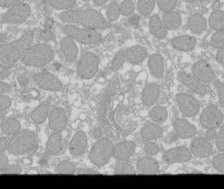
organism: Xenopus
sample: Cilia; centrioles in frog embryo cells